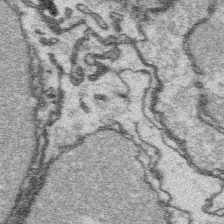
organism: Platynereis dumerilii